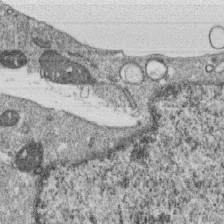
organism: African green monkey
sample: Vero E6 cells infected with SARS-CoV-2